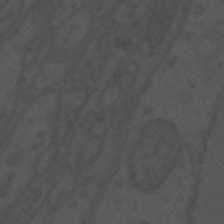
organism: Mouse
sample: Suprachiasmatic nucleus